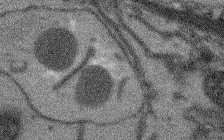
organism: Arabidopsis thaliana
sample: Root tip